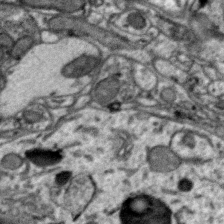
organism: Zebra finch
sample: Brain